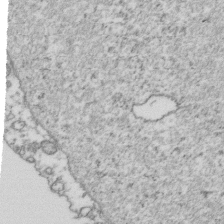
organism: Human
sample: Activated Jurkat CD4+ T cells